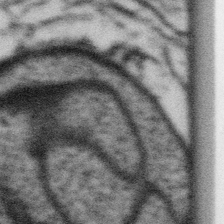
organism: Gemmata obscuriglobus